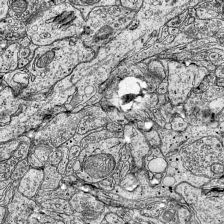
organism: Mouse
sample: Visual Cortex